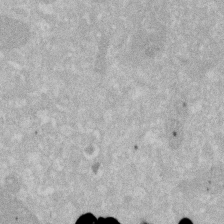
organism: Human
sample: HIV infected U937 cells